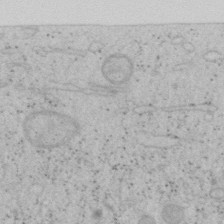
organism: Human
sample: HeLa cells